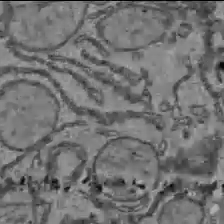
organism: C57BL Mouse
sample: Liver